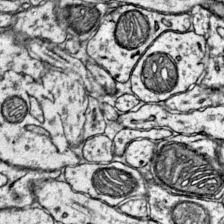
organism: Mouse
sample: Primary visual cortex